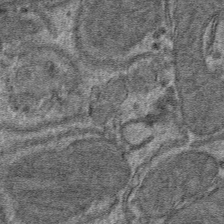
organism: Mouse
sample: Mouse hepatocytes